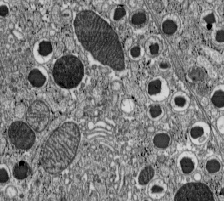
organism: C57BL Mouse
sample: Pancreatic islet